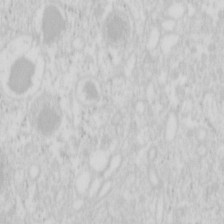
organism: Mouse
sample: Pancreas